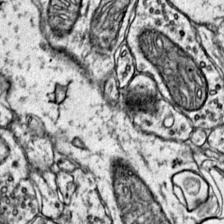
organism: Mouse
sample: Primary visual cortex